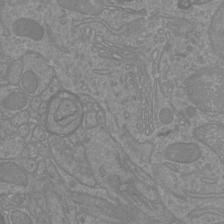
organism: Mouse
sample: Cortical neurons